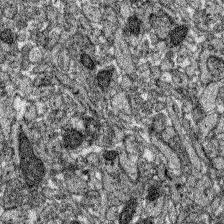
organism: Zebrafish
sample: Larval olfactory bulb